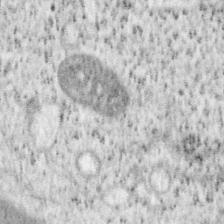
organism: Mouse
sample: OT-I killer T cells with ID8 ovarian cancer cells